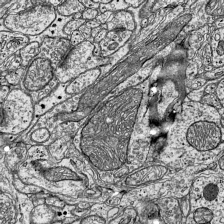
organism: Mouse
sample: Visual Cortex